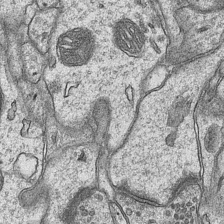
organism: Mouse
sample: CA1 Hippocampus